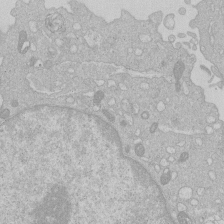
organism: Human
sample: Macrophage cells